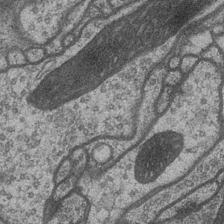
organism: Drosophila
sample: Optic medulla